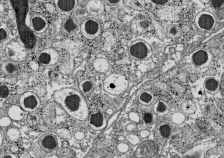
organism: C57BL Mouse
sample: Pancreatic islet